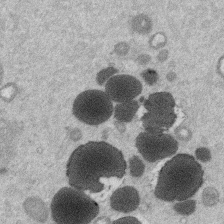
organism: Mouse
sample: Dividing mouse embryo 1 cell stage